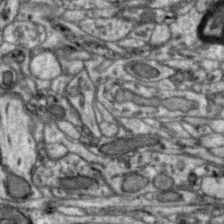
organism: Zebra finch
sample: Brain